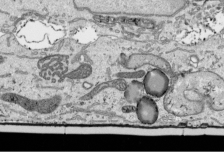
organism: Human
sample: Mitochondria in HCT116 cells